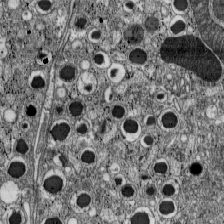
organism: C57BL Mouse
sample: Pancreatic islet